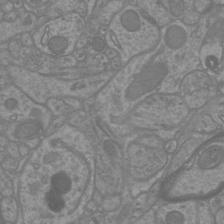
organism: Mouse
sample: Cortical neurons